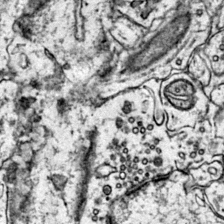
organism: Mouse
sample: Primary visual cortex